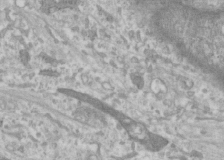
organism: Human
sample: Cilia; basal body in RPE cells